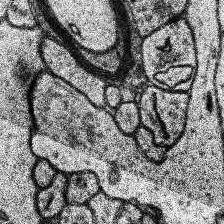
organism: Human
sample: Temporal Lobe